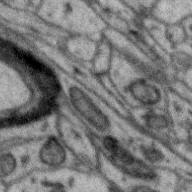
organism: Zebra finch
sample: Brain